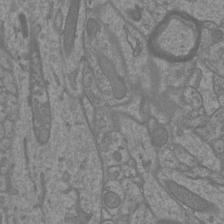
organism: Mouse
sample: Cortical neurons